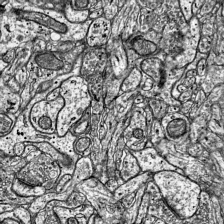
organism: Mouse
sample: Visual Cortex